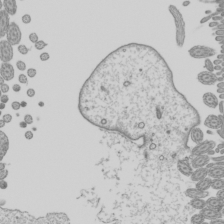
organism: Mouse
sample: Cilia; mouse epididymis